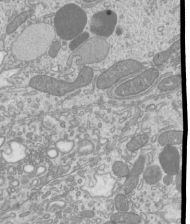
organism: Mouse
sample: Cilia; mouse epididymis